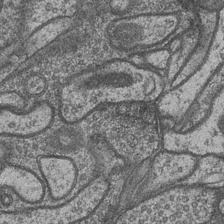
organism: Drosophila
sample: Optic medulla